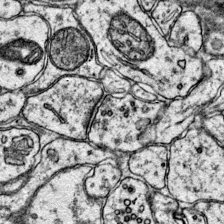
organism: Mouse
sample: Primary visual cortex